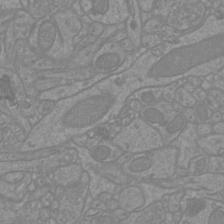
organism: Mouse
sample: Cortical neurons